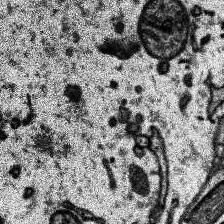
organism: Human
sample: Temporal Lobe